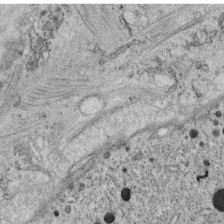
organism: C. elegans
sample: C. elegans oocyte; sperm cells